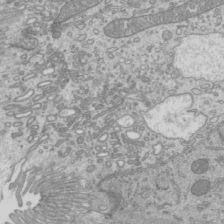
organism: Mouse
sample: Cilia; mouse epididymis